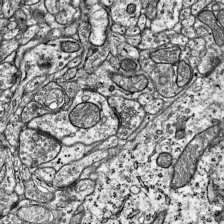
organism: Mouse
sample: Visual Cortex